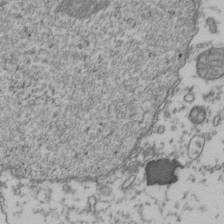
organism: Human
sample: Activated Jurkat CD4+ T cells